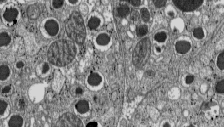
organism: C57BL Mouse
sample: Pancreatic islet